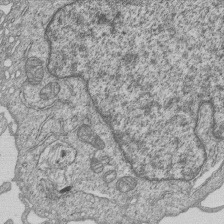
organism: Human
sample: MDA-MB-231 cells